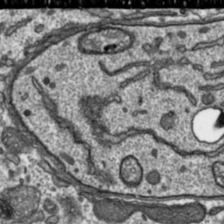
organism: Toxoplasma gondii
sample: Parasites in a vacuole inside a host cell